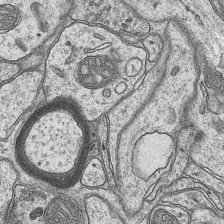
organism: Mouse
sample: CA1 Hippocampus